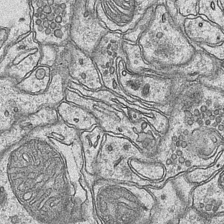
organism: Mouse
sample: CA1 Hippocampus